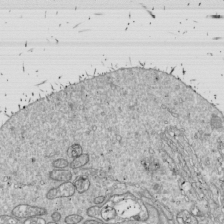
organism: Drosophila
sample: Cell division; meiosis; drosophila spermatocytes